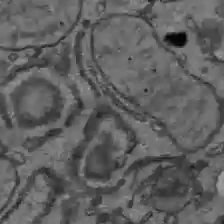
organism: C57BL Mouse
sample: Liver